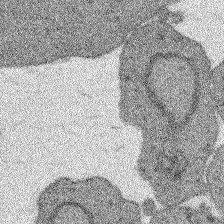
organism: Human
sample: HeLa cells